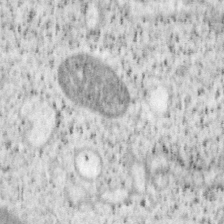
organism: Mouse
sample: OT-I killer T cells with ID8 ovarian cancer cells